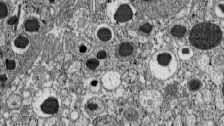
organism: C57BL Mouse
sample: Pancreatic islet